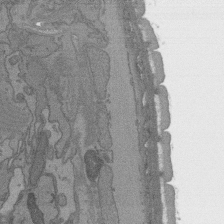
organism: C. elegans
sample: AFD neurons C. elegans